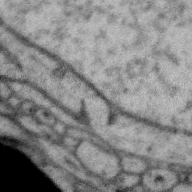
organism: Zebra finch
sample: Brain